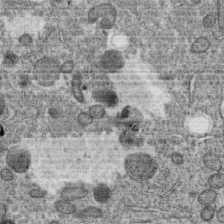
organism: C. elegans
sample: C. elegans oocyte; sperm cells